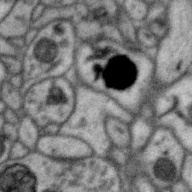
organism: Zebra finch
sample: Brain